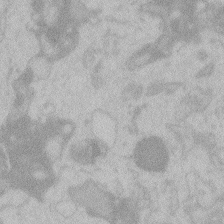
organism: Zebrafish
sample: Macrophage infected with Toxoplasma gondii